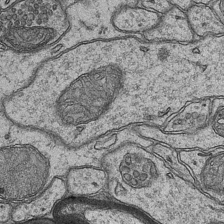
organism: Mouse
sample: CA1 Hippocampus